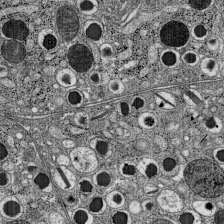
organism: C57BL Mouse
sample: Pancreatic islet